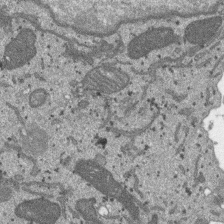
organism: Human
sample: Lung epithelial cells infected with SARS-CoV-2